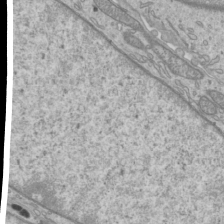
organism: Mouse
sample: Cilia; mouse epididymis